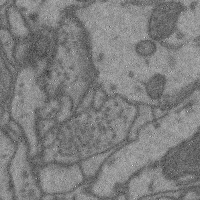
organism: Mouse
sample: Cerebral cortex